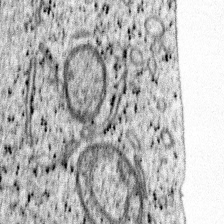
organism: Human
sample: HeLa cells